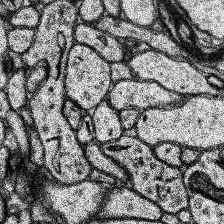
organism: Human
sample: Temporal Lobe